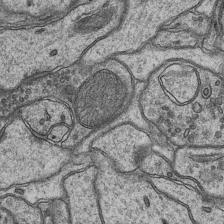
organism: Mouse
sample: CA1 Hippocampus